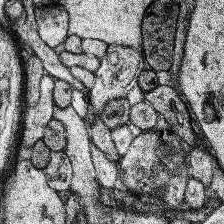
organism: Human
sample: Temporal Lobe